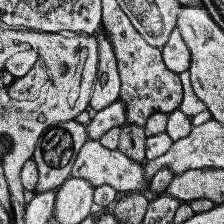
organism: Human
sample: Temporal Lobe